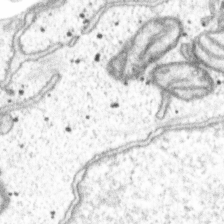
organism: Human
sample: HeLa cells